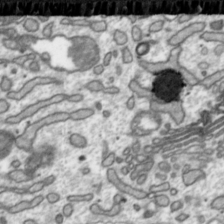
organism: Toxoplasma gondii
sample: Parasites in a vacuole inside a host cell